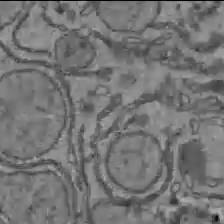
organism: C57BL Mouse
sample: Liver